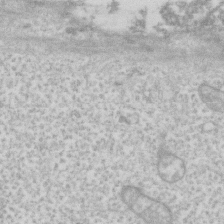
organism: Human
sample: Fibroblast cells